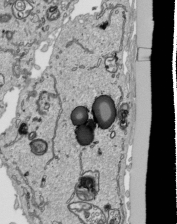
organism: Human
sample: Mitochondria in HCT116 cells